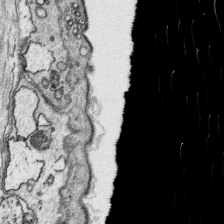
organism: Platynereis dumerilii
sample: Parapodia